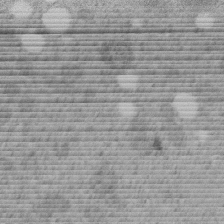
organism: C. elegans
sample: C. elegans embryo early stage